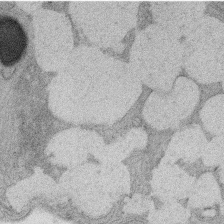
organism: Rat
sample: Salivary granule